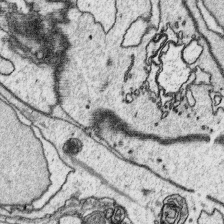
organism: Platynereis dumerilii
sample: Parapodia